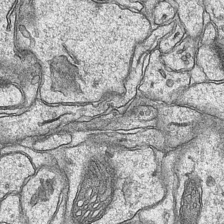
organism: Mouse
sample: CA1 Hippocampus